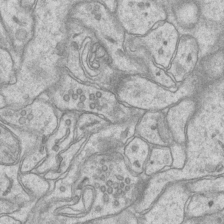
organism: Mouse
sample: CA1 Hippocampus